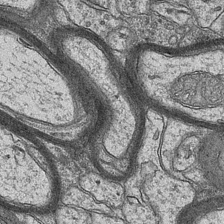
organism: Mouse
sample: CA1 Hippocampus